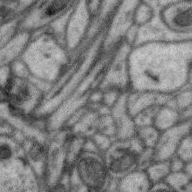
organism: Zebra finch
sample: Brain